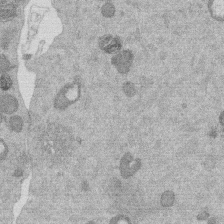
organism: Mouse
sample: Dividing mouse embryo 1 cell stage